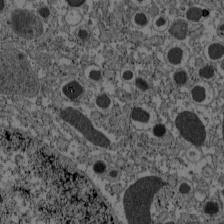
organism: C57BL Mouse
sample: Pancreatic islet